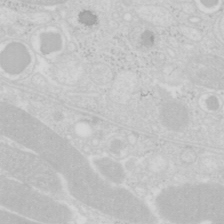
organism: Mouse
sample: Pancreas